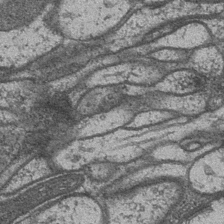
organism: Drosophila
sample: Optic medulla